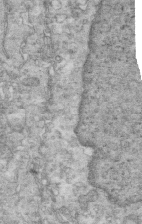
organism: Mouse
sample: Multiciliated cells